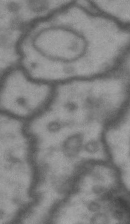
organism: Drosophila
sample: Brain